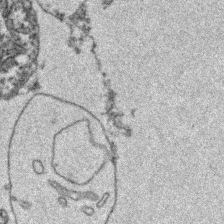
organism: Zebrafish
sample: Zebrafish embryo